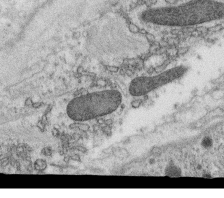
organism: C. elegans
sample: C. elegans oocyte; sperm cells